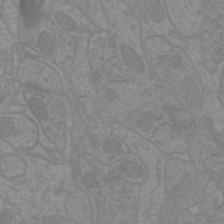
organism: Mouse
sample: Cortical neurons